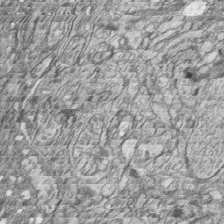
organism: Zebrafish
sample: synaptic ribbons in rod cells and cone cells